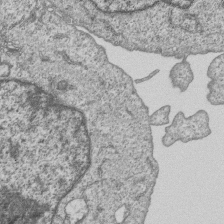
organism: Human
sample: MDA-MB-231 cells